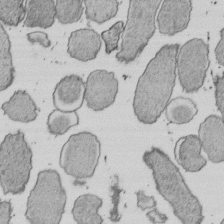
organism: E. coli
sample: Bacterial nucleoid